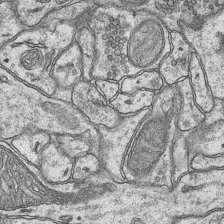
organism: Mouse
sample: CA1 Hippocampus